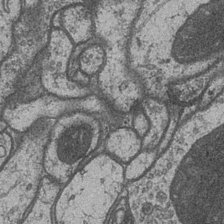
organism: Drosophila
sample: Optic medulla